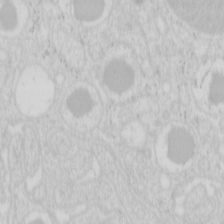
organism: Mouse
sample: Pancreas